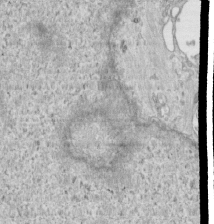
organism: Human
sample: Centriole in RPE cells